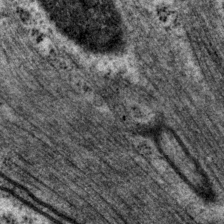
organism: P. pacificus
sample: Pharynx